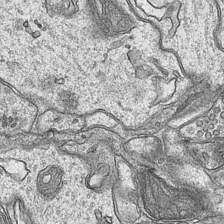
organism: Mouse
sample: CA1 Hippocampus